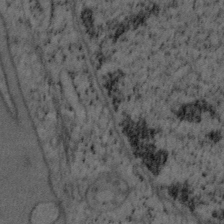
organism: Human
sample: HeLa cells